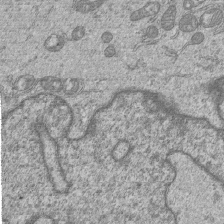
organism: Human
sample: MDA-MB-231 cells